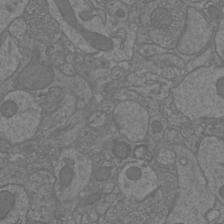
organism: Mouse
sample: Cortical neurons